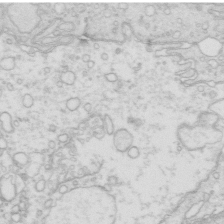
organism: Mouse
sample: Multiciliated cells